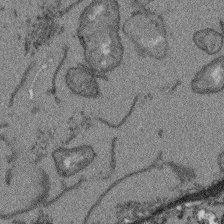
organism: Arabidopsis thaliana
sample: Root tip